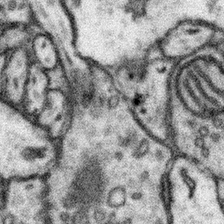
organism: Mouse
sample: Somatosensory cortex neuropil